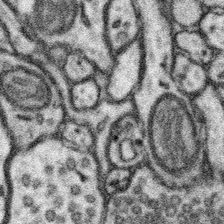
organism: Mouse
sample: Somatosensory cortex neuropil